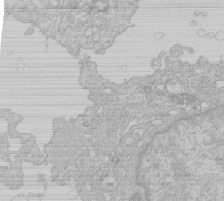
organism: Human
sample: Macrophage cells